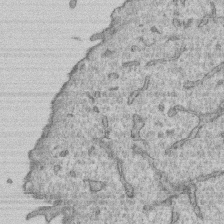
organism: Human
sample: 1205lu cells